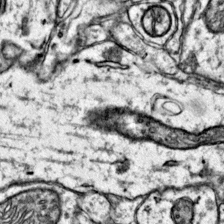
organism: Mouse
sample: Primary visual cortex